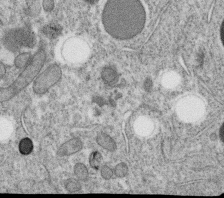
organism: C. elegans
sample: C. elegans oocyte; sperm cells